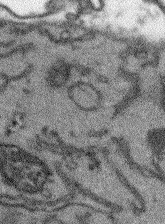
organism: Arabidopsis thaliana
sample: Root tip